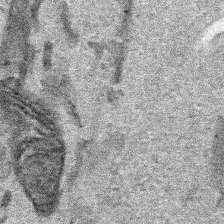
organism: Human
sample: Mitochondria in HCT116 cells